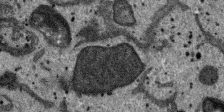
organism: Human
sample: Lung epithelial cells, uninfected (mock) control